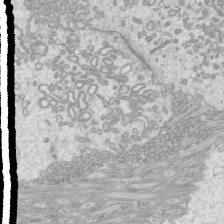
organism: Mouse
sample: Cilia; mouse epididymis